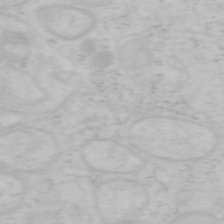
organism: Mouse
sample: OT-I killer T cells with ID8 ovarian cancer cells